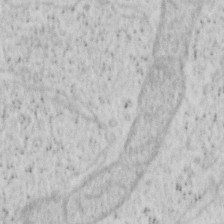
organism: Human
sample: HeLa cells